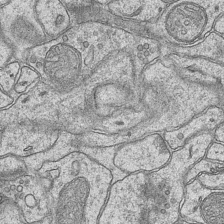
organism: Mouse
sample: CA1 Hippocampus